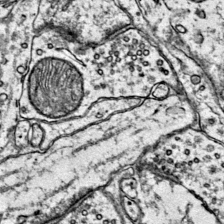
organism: Mouse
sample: Primary visual cortex